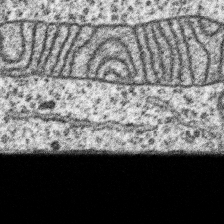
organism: Human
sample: HeLa cells